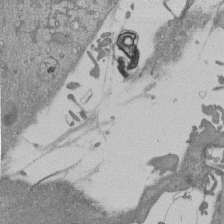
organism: Mouse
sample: ED-1 cell nuclei; centrioles